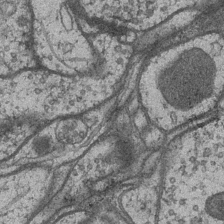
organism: Drosophila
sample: Optic medulla